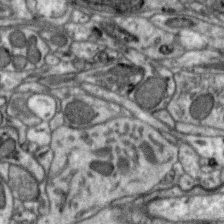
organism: Zebra finch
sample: Brain